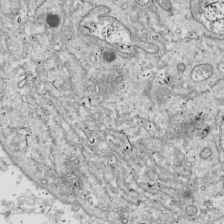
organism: Drosophila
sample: Cell division; meiosis; drosophila spermatocytes